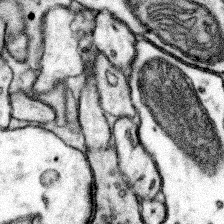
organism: Mouse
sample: Somatosensory cortex neuropil